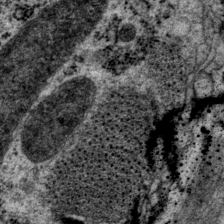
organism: P. pacificus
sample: Pharynx